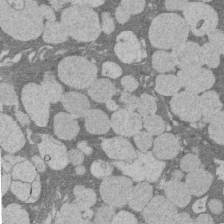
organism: Rat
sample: Salivary granule